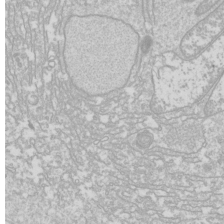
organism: Drosophila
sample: Cell division; meiosis; drosophila spermatocytes